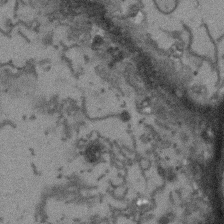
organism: Arabidopsis thaliana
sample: Root tip